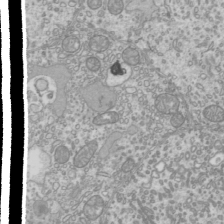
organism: Mouse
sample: Cilia; mouse epididymis